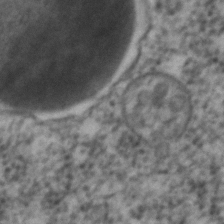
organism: C. elegans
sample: C. elegans embryo